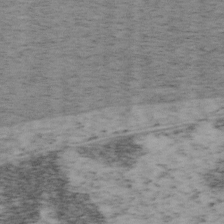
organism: Mouse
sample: OT-I killer T cells with ID8 ovarian cancer cells